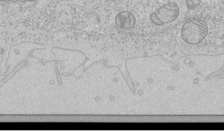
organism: Human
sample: Mitochondria in HCT116 cells